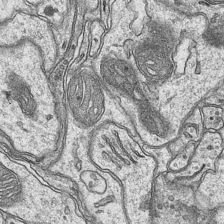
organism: Mouse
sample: CA1 Hippocampus